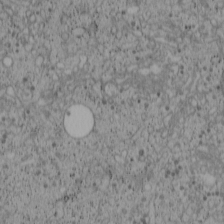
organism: African green monkey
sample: COS-7 cells